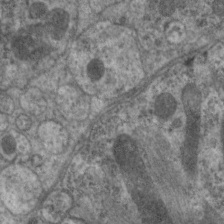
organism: C. elegans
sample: Pharynx